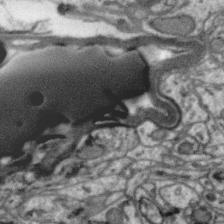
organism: Zebra finch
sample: Brain